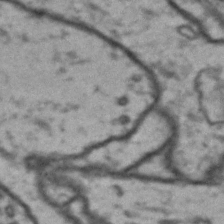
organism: Drosophila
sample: Brain